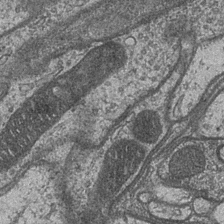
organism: Drosophila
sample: Optic medulla